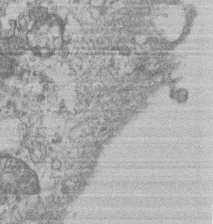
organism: Mouse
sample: T cell stromal cell synapse